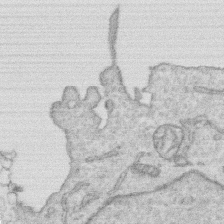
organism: Human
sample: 1205lu cells